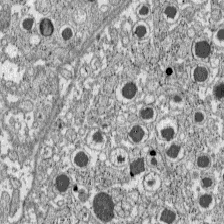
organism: C57BL Mouse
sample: Pancreatic islet